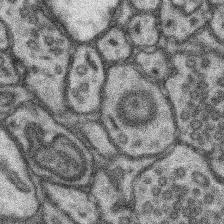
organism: Mouse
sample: Somatosensory cortex neuropil